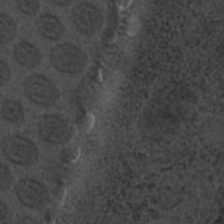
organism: C. elegans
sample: C. elegans embryo